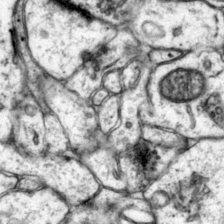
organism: Mouse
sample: Primary visual cortex